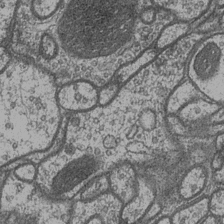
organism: Drosophila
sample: Optic medulla